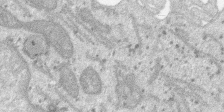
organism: Human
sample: Lung epithelial cells infected with SARS-CoV-2